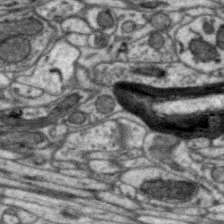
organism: Zebra finch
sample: Brain